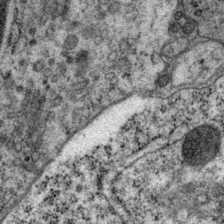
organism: P. pacificus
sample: Pharynx